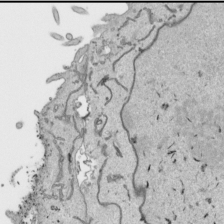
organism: Human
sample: Mitochondria in HCT116 cells